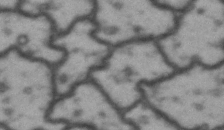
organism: Drosophila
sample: Brain